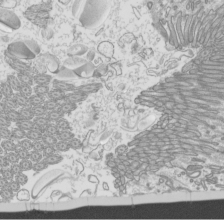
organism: Mouse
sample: Cilia; mouse epididymis